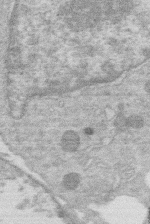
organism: Human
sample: Macrophage cells